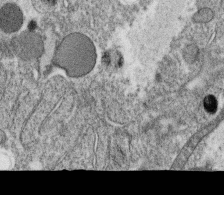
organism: C. elegans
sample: C. elegans oocyte; sperm cells